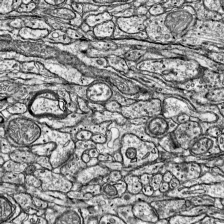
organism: Mouse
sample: Visual Cortex